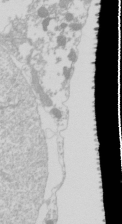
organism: Drosophila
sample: Cell division; meiosis; drosophila spermatocytes